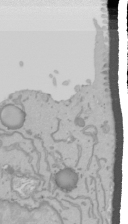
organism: Mouse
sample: Cancer cell death in ED-1 cells